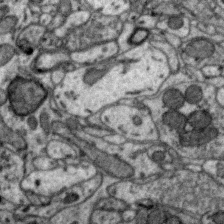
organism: Zebra finch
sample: Brain